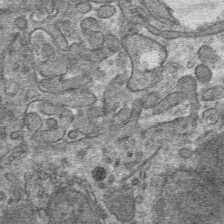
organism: Mouse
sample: Mouse hepatocytes